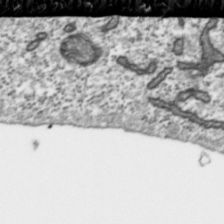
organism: Toxoplasma gondii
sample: Parasites in a vacuole inside a host cell